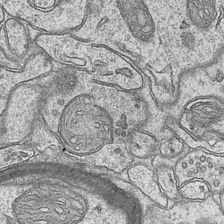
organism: Mouse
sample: CA1 Hippocampus